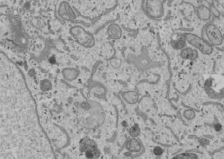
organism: Human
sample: Mitochondria in U2OS cells